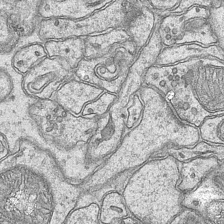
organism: Mouse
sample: CA1 Hippocampus